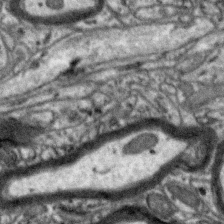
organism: Zebra finch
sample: Brain